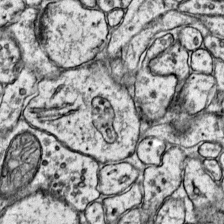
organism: Mouse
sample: Primary visual cortex